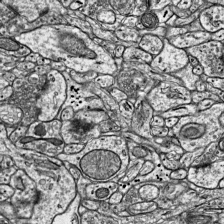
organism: Mouse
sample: Visual Cortex